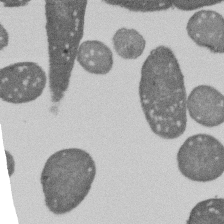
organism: E. coli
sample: Bacterial nucleoid